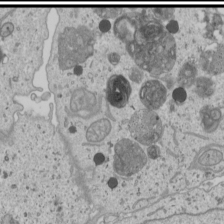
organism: Human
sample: Mitochondria in U2OS cells